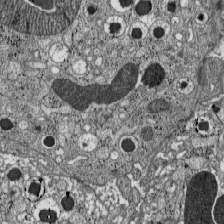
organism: C57BL Mouse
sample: Pancreatic islet